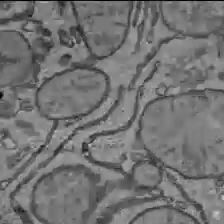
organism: C57BL Mouse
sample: Liver